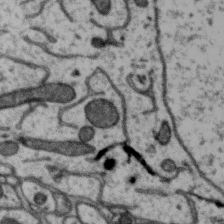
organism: Zebra finch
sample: Brain